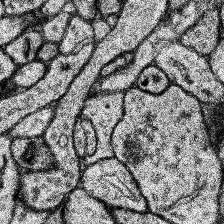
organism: Human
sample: Temporal Lobe